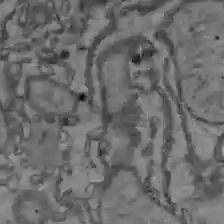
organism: C57BL Mouse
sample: Liver